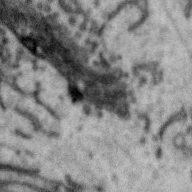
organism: Zebra finch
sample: Brain